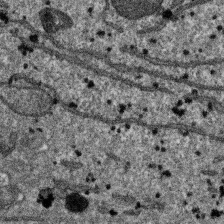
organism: Human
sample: Lung epithelial cells infected with SARS-CoV-2